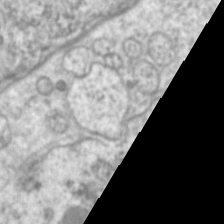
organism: C. elegans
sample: Pharynx